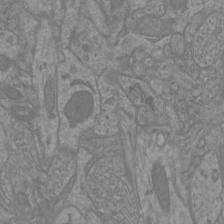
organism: Mouse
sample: Cortical neurons